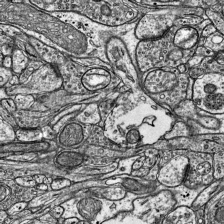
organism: Mouse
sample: Visual Cortex